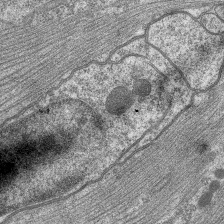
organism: C. elegans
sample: Pharynx